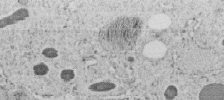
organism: C. elegans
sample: C. elegans embryo early stage